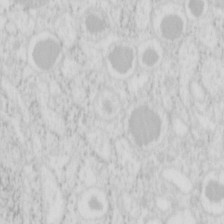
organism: Mouse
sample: Pancreas